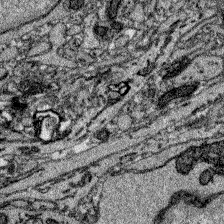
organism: Zebrafish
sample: Larval olfactory bulb